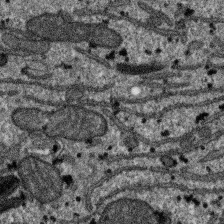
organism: Human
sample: Lung epithelial cells infected with SARS-CoV-2